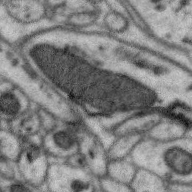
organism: Zebra finch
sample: Brain